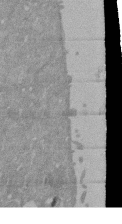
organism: Mouse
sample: ED-1 cell nuclei; centrioles